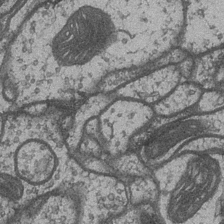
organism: Drosophila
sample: Optic medulla